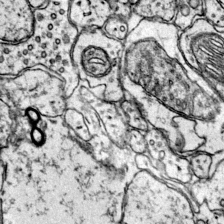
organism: Mouse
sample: Primary visual cortex